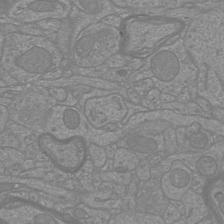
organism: Mouse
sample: Cortical neurons